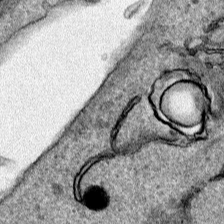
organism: Human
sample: Mitochondria in HCT116 cells